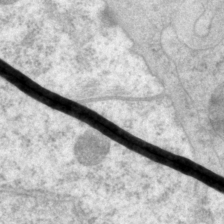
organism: P. pacificus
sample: Pharynx